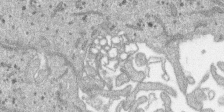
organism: Human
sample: Lung epithelial cells infected with SARS-CoV-2